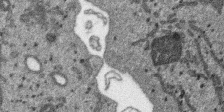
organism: Human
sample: Lung epithelial cells infected with SARS-CoV-2